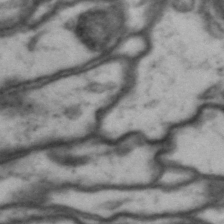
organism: Drosophila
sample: Brain